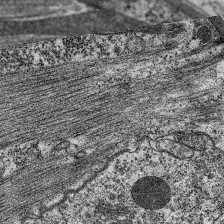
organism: C. elegans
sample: Pharynx